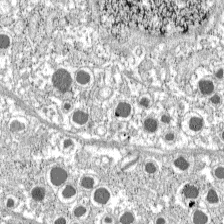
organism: C57BL Mouse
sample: Pancreatic islet